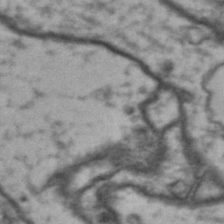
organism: Drosophila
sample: Brain